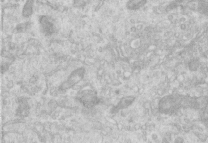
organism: Human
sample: Centriole in RPE cells